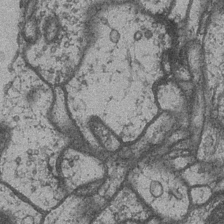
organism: Drosophila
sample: Optic medulla